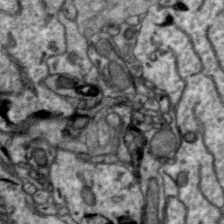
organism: Zebra finch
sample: Brain